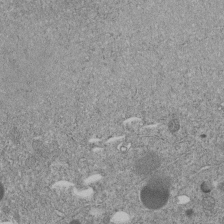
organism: C. elegans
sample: C. elegans embryo early stage